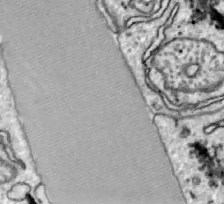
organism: Zebrafish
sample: Actinotrichia fibers